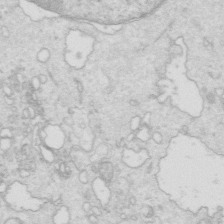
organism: Mouse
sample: Multiciliated cells